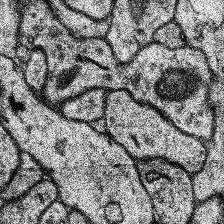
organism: Human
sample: Temporal Lobe